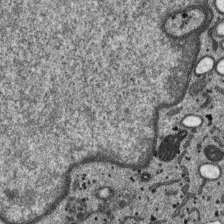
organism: Human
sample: Lung epithelial cells infected with SARS-CoV-2